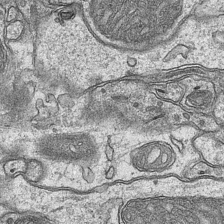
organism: Mouse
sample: CA1 Hippocampus